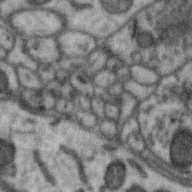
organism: Zebra finch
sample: Brain